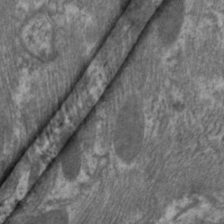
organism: C. elegans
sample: Pharynx